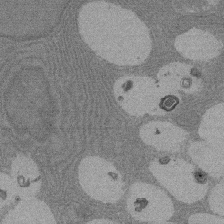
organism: Rat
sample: Salivary granule